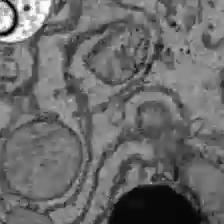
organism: C57BL Mouse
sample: Liver